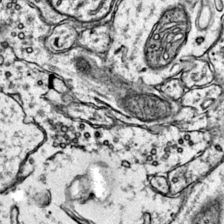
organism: Mouse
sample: Primary visual cortex